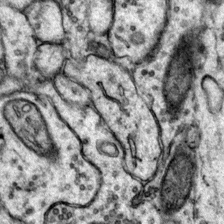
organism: Mouse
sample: Primary visual cortex